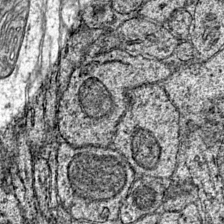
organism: Mouse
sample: Primary visual cortex